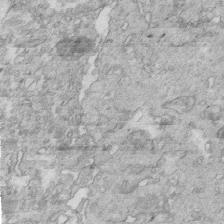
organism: Mouse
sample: Multiciliated cells